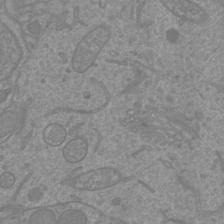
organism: Mouse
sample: Cortical neurons